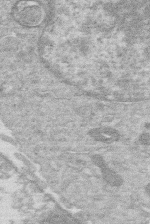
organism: Human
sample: Macrophage cells